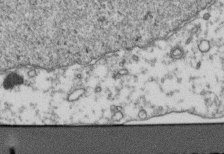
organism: Human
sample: Activated Jurkat CD4+ T cells